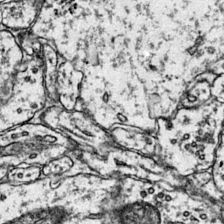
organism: Mouse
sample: Primary visual cortex